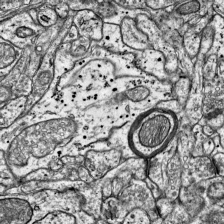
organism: Mouse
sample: Visual Cortex